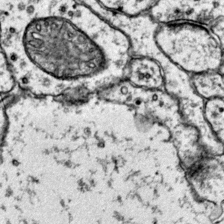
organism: Mouse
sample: Primary visual cortex